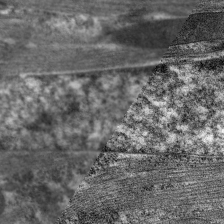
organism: C. elegans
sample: Pharynx